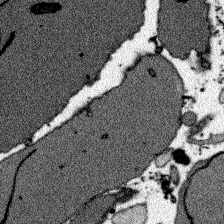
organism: Zebrafish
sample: Larval olfactory bulb